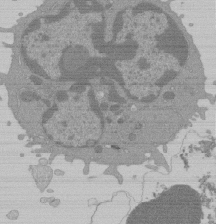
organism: Mouse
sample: Activated Pmel transgenic CD8+ T Cells